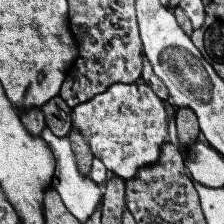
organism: Human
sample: Temporal Lobe